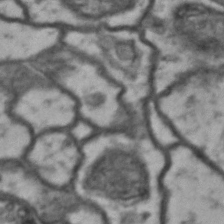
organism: Drosophila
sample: Brain